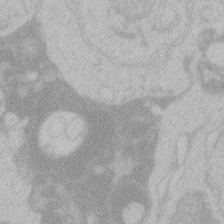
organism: Zebrafish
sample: Macrophage infected with Toxoplasma gondii